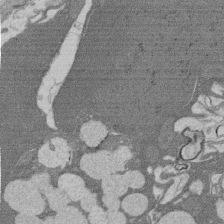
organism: Rat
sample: Salivary granule